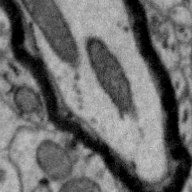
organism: Zebra finch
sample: Brain